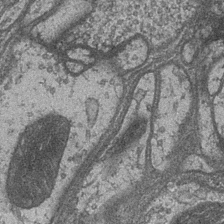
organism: Drosophila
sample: Optic medulla